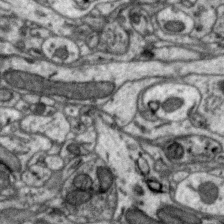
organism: Zebra finch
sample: Brain